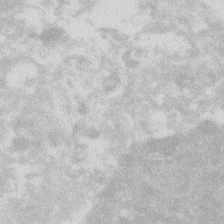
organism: Zebrafish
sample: Macrophage